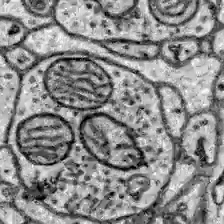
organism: Zebrafish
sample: Brain